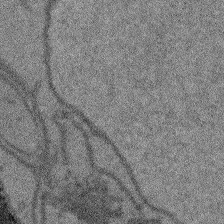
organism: Arabidopsis thaliana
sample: Root tip